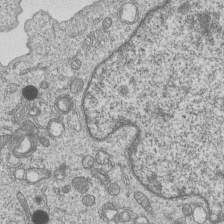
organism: Human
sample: MDA-MB-231 cells